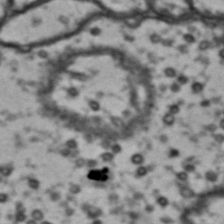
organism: Drosophila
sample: Brain